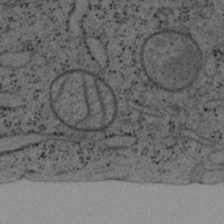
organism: Human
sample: HeLa cells